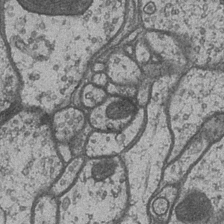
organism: Drosophila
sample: Optic medulla